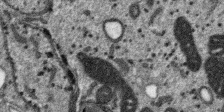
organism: Human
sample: Lung epithelial cells infected with SARS-CoV-2